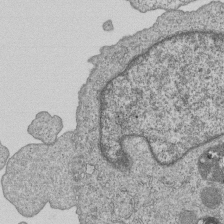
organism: Human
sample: MDA-MB-231 cells